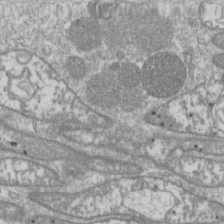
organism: Drosophila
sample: Cell division; meiosis; drosophila spermatocytes